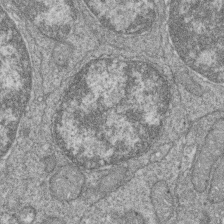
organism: Zebrafish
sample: Cilia; retinal pigment epithelium